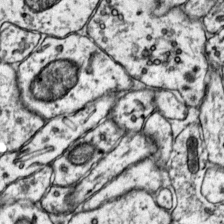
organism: Mouse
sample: Primary visual cortex